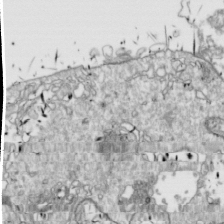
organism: Drosophila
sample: Cell division; meiosis; drosophila spermatocytes